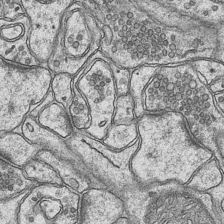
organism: Mouse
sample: CA1 Hippocampus